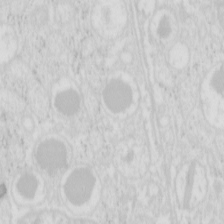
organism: Mouse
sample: Pancreas